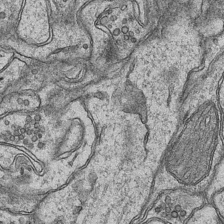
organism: Mouse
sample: CA1 Hippocampus